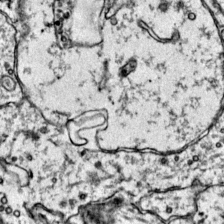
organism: Mouse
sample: Primary visual cortex